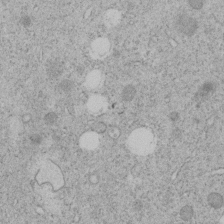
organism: C. elegans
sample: C. elegans embryo early stage